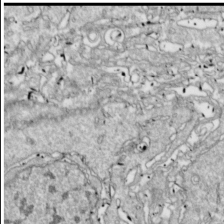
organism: Drosophila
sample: Cell division; meiosis; drosophila spermatocytes